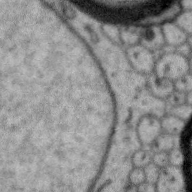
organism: Zebra finch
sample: Brain